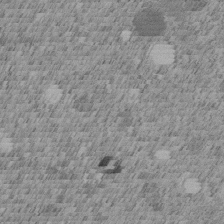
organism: C. elegans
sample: C. elegans embryo early stage